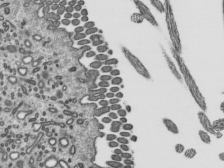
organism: Mouse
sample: Mouse epididymis efferent ductule cilia